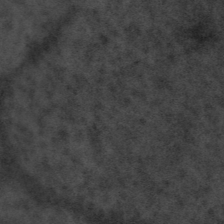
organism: Tuwongella immobilis